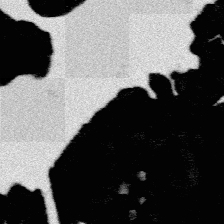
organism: Platynereis dumerilii